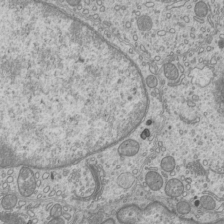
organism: Mouse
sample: Cilia; mouse epididymis